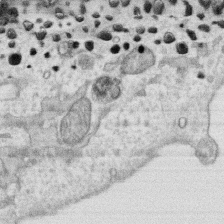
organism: Human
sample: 1205lu cells